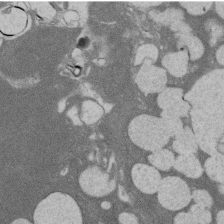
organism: Rat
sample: Salivary granule